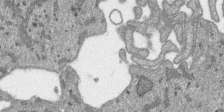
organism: Human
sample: Lung epithelial cells infected with SARS-CoV-2